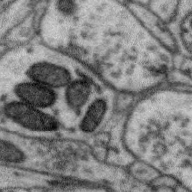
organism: Zebra finch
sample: Brain